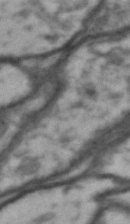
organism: Drosophila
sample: Brain